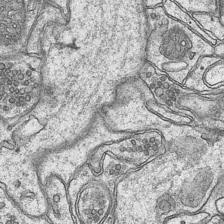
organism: Mouse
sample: CA1 Hippocampus